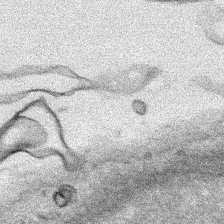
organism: Human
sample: Mitochondria in HCT116 cells